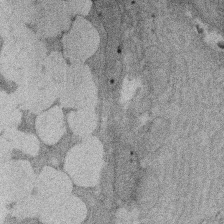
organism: Rat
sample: Salivary granule